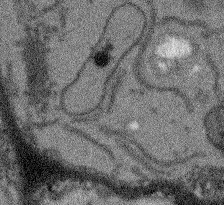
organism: Arabidopsis thaliana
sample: Root tip